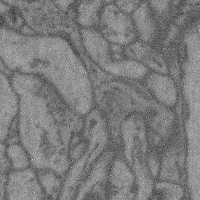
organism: Mouse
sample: Cerebral cortex